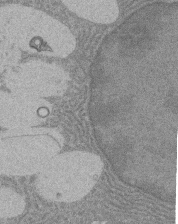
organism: Rat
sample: Salivary granule